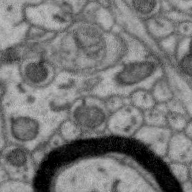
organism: Zebra finch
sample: Brain